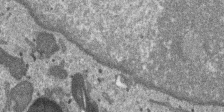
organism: Human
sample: Lung epithelial cells infected with SARS-CoV-2